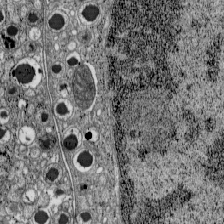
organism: C57BL Mouse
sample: Pancreatic islet